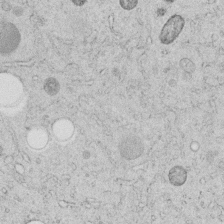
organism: C. elegans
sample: C. elegans embryo early stage